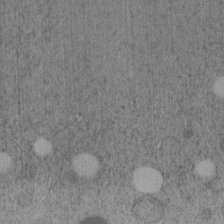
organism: C. elegans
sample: C. elegans embryo early stage